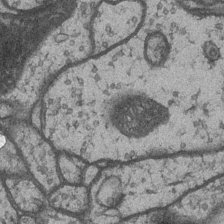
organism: Drosophila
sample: Optic medulla